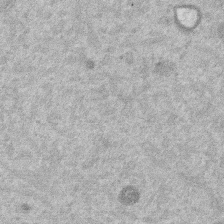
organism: Mouse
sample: Dividing mouse embryo 1 cell stage